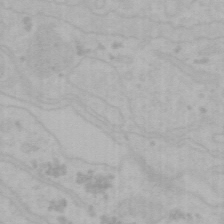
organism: Mouse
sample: Choroid plexus